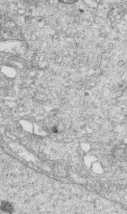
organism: Human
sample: HeLa cell HIV synapse